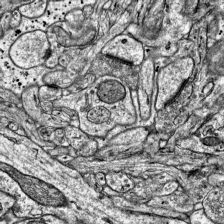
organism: Mouse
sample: Visual Cortex